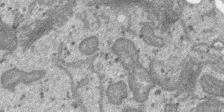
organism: Human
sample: Lung epithelial cells infected with SARS-CoV-2